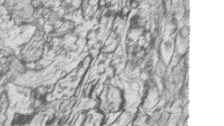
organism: Zebrafish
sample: synaptic ribbons in rod cells and cone cells